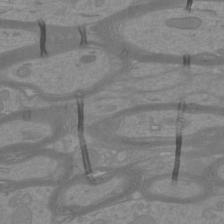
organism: Mouse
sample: Cortical neurons